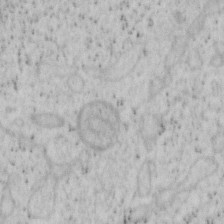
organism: Human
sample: HeLa cells